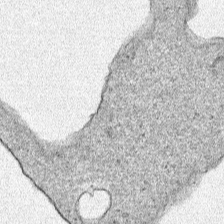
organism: Human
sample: Mitochondria in HCT116 cells